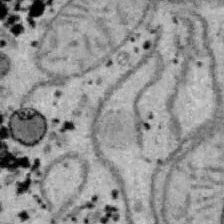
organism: Mouse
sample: Liver from an obese (ob/ob) mouse